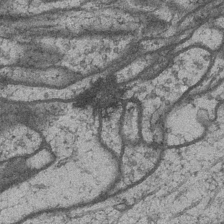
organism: Drosophila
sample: Optic medulla